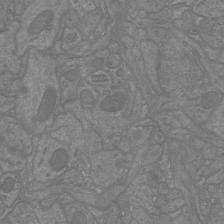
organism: Mouse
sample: Cortical neurons